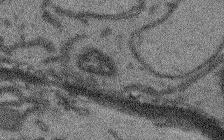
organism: Arabidopsis thaliana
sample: Root tip